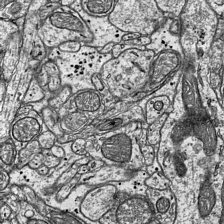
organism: Mouse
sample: Visual Cortex